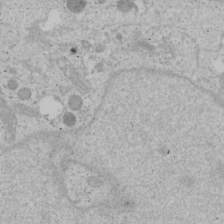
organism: Human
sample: Mitochondria in U2OS cells